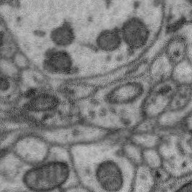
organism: Zebra finch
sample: Brain